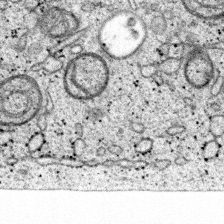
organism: Human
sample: HeLa cells